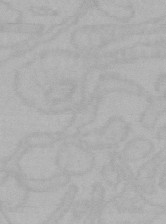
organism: Mouse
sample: Choroid plexus